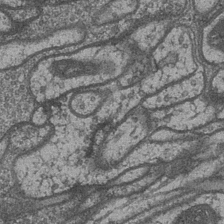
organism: Drosophila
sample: Optic medulla